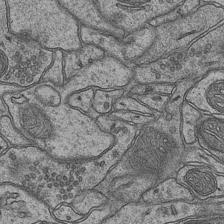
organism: Mouse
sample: CA1 Hippocampus